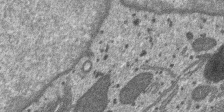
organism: Human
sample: Lung epithelial cells infected with SARS-CoV-2